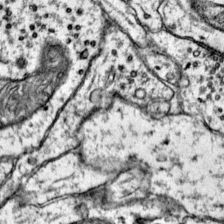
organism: Mouse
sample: Primary visual cortex